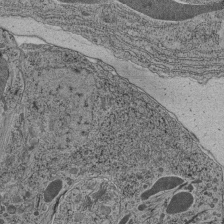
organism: C. elegans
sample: C. elegans pharynx